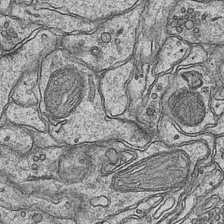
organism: Mouse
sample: CA1 Hippocampus